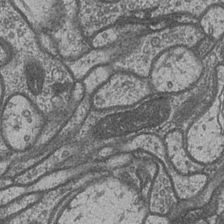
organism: Drosophila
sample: Optic medulla